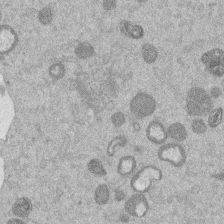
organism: Mouse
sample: Dividing mouse embryo 1 cell stage